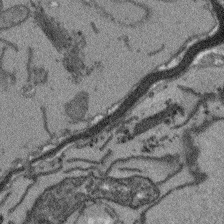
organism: Arabidopsis thaliana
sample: Root tip